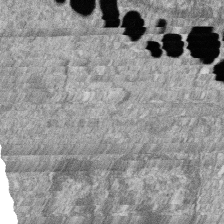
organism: Zebrafish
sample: Cilia; retinal pigment epithelium